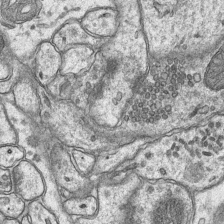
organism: Mouse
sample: CA1 Hippocampus